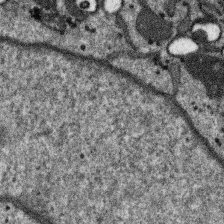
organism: Human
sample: Lung epithelial cells infected with SARS-CoV-2